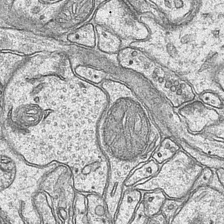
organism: Mouse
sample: CA1 Hippocampus